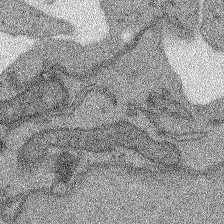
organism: Human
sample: HeLa cells